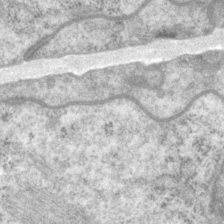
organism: P. pacificus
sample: Pharynx